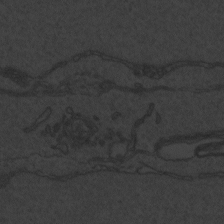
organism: Zebrafish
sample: Macrophage infected with Toxoplasma gondii